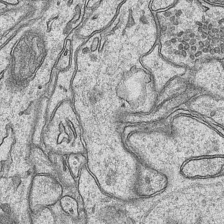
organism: Mouse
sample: CA1 Hippocampus